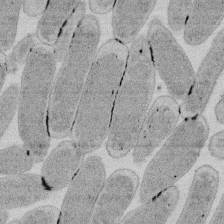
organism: E. coli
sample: Bacterial nucleoid